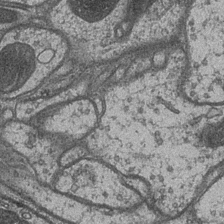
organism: Drosophila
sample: Optic medulla